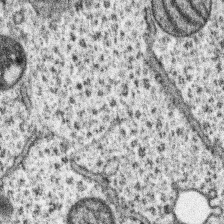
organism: Human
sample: HeLa cells